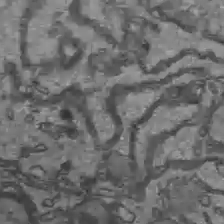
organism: C57BL Mouse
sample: Liver